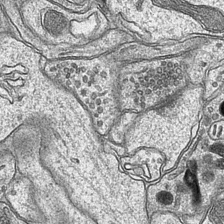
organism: Mouse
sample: CA1 Hippocampus